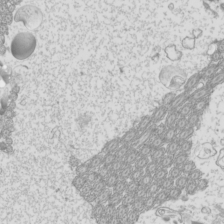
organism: Mouse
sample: Cilia; mouse epididymis